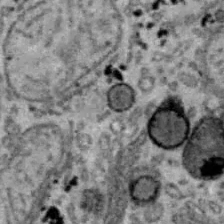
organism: Mouse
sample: Liver from an obese (ob/ob) mouse